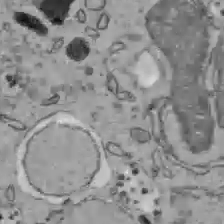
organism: C57BL Mouse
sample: Liver